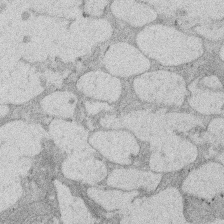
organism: Rat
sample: Salivary granule